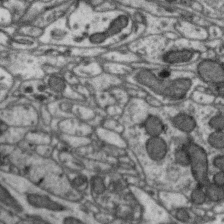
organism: Zebra finch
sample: Brain